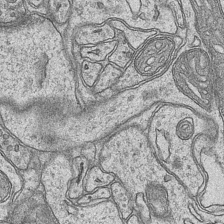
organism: Mouse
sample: CA1 Hippocampus